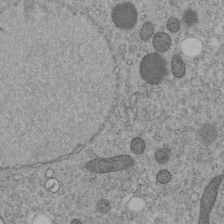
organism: C. elegans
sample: C. elegans embryo early stage